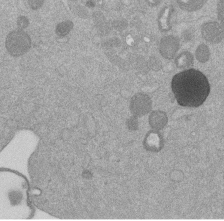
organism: Mouse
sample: Dividing mouse embryo 1 cell stage